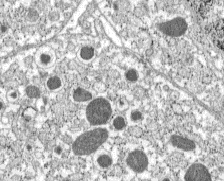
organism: C57BL Mouse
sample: Pancreatic islet